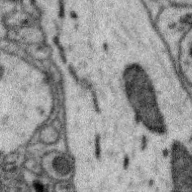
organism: Zebra finch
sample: Brain